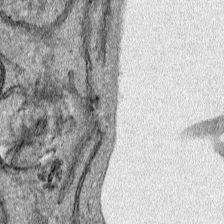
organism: Human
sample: Mitochondria in HCT116 cells